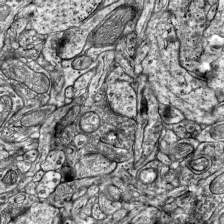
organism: Mouse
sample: Visual Cortex